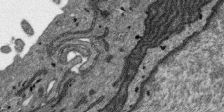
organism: Human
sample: Lung epithelial cells, uninfected (mock) control